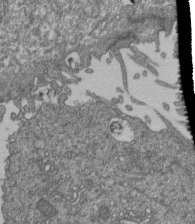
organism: Human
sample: Retinal organoid Rod and Cone cells